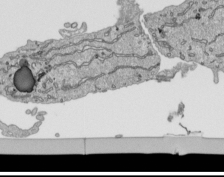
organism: Human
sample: Mitochondria in HCT116 cells